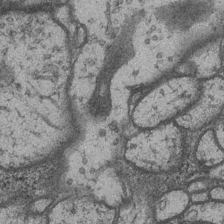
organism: Drosophila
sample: Optic medulla